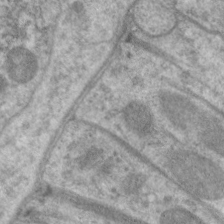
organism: C. elegans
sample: Pharynx